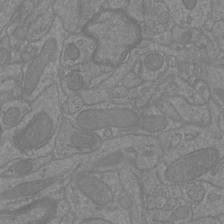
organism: Mouse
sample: Cortical neurons